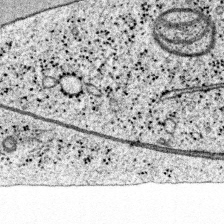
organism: Human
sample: HeLa cells